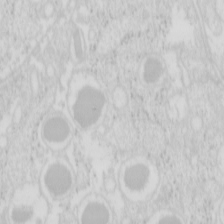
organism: Mouse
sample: Pancreas